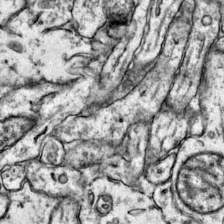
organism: Mouse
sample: Primary visual cortex